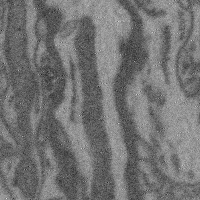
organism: Mouse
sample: Cerebral cortex